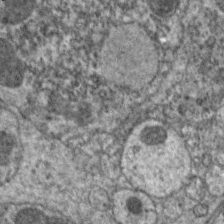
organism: C. elegans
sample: Pharynx